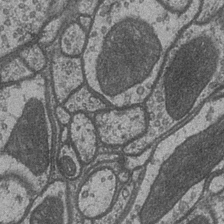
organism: Drosophila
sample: Optic medulla